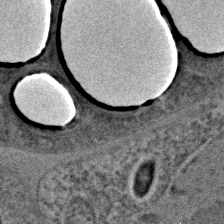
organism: C. elegans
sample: C. elegans embryo